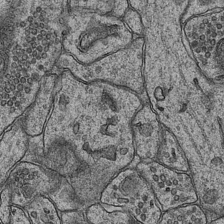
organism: Mouse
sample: CA1 Hippocampus